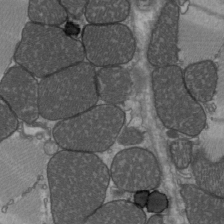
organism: C57BL Mouse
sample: Heart